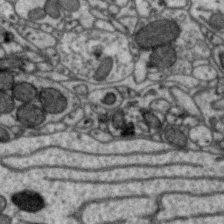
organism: Zebra finch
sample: Brain